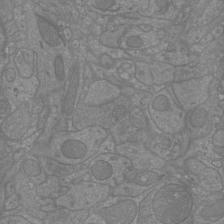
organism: Mouse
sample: Cortical neurons